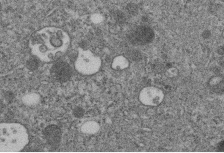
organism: C. elegans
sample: C. elegans embryo early stage